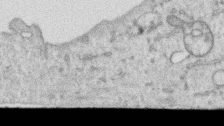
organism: Human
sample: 1205lu cells